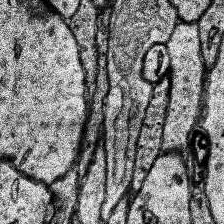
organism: Human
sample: Temporal Lobe